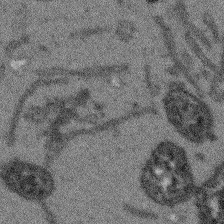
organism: Arabidopsis thaliana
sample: Root tip